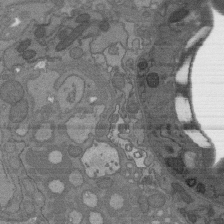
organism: C. elegans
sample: AFD neurons C. elegans